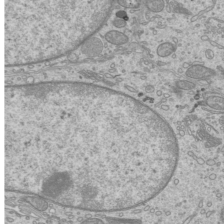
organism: Mouse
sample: Cilia; mouse epididymis